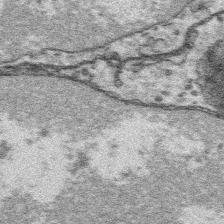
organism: Platynereis dumerilii